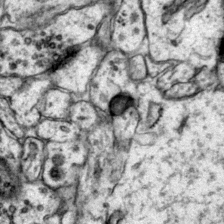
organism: Mouse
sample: Primary visual cortex